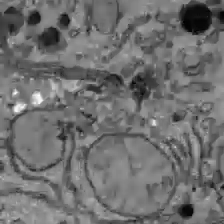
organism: C57BL Mouse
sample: Liver